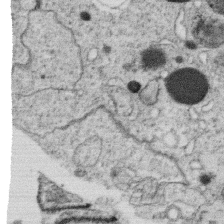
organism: C. elegans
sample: C. elegans oocyte; sperm cells